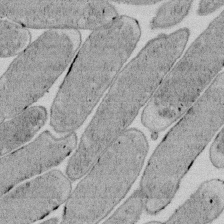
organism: E. coli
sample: Bacterial nucleoid